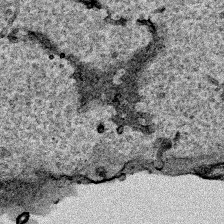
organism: Human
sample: Mitochondria in HCT116 cells